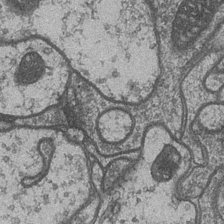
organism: Drosophila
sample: Optic medulla